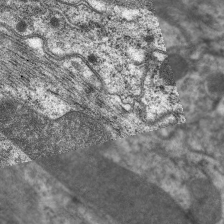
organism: C. elegans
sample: Pharynx